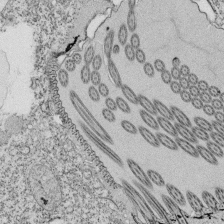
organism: Tetrahymena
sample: Cilia in tetrahymena